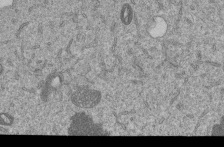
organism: Human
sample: MDA-MB-231 cells